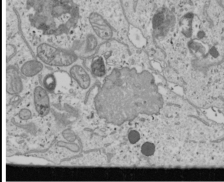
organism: Human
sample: Mitochondria in U2OS cells